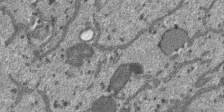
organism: Human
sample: Lung epithelial cells infected with SARS-CoV-2